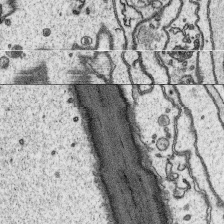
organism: Platynereis dumerilii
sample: Parapodia